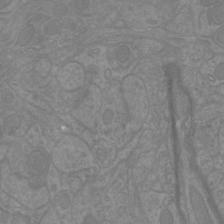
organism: Mouse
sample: Cortical neurons